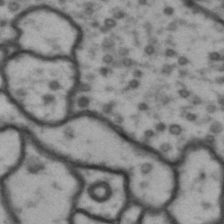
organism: Drosophila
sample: Brain